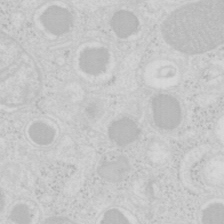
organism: Mouse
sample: Pancreas